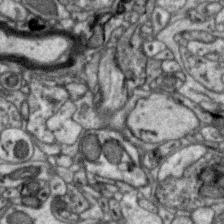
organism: Zebra finch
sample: Brain